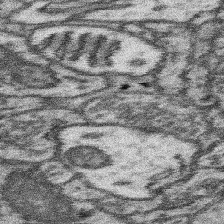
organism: Mouse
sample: Somatosensory cortex neuropil